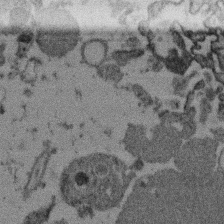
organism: Mouse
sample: Dividing mouse embryo 1 cell stage